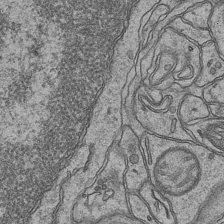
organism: Mouse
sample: CA1 Hippocampus